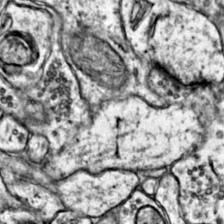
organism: Mouse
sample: Primary visual cortex